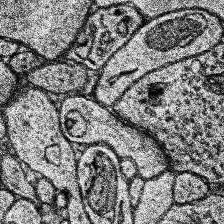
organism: Human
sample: Temporal Lobe